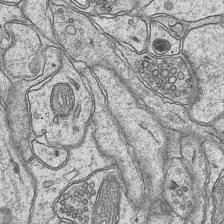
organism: Mouse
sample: CA1 Hippocampus